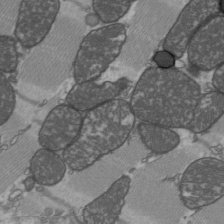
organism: C57BL Mouse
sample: Heart